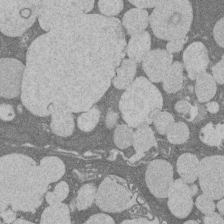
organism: Rat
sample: Salivary granule